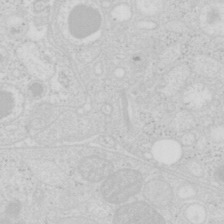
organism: Mouse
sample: Pancreas